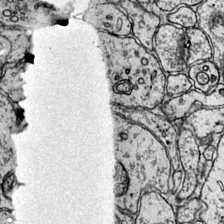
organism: Mouse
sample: Primary visual cortex